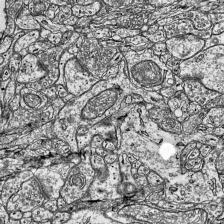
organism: Mouse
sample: Visual Cortex